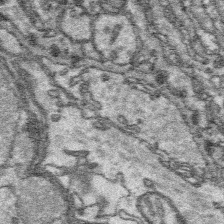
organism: Platynereis dumerilii